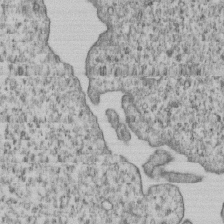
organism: Human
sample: MDA-MB-231 cells